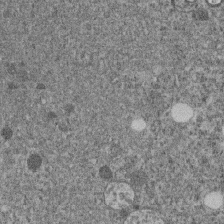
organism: C. elegans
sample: C. elegans embryo early stage